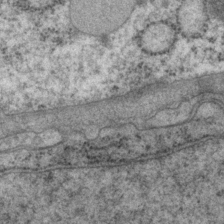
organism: P. pacificus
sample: Pharynx